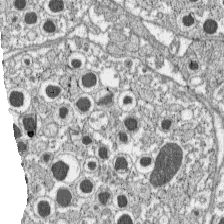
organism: C57BL Mouse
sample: Pancreatic islet